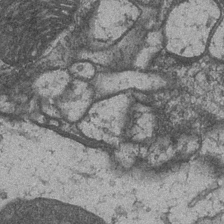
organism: Drosophila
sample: Optic medulla